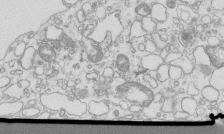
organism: Mouse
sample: Macrophages